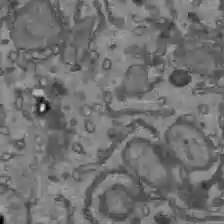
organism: C57BL Mouse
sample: Liver